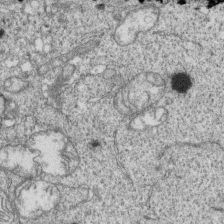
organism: Human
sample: HeLa cell HIV synapse